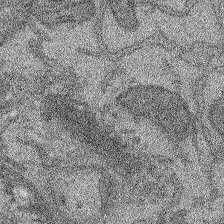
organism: Human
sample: HeLa cells